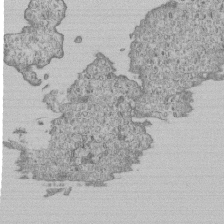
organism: Human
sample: MDA-MB-231 cells